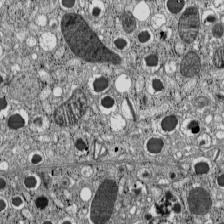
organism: C57BL Mouse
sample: Pancreatic islet